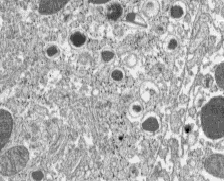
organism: C57BL Mouse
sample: Pancreatic islet